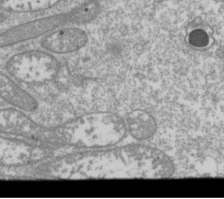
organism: Drosophila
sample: Cell division; meiosis; drosophila spermatocytes